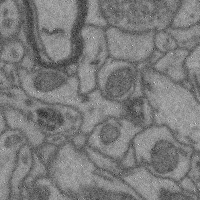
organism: Mouse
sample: Cerebral cortex